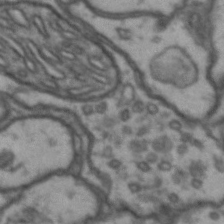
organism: Drosophila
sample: Brain